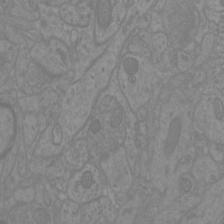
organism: Mouse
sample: Cortical neurons